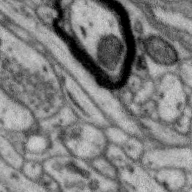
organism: Zebra finch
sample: Brain